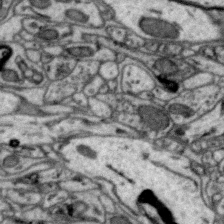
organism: Zebra finch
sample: Brain